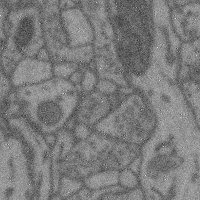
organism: Mouse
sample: Cerebral cortex